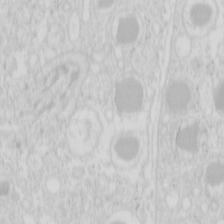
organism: Mouse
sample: Pancreas